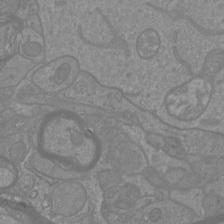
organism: Mouse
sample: Cortical neurons